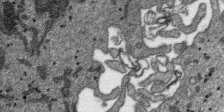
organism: Human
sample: Lung epithelial cells infected with SARS-CoV-2